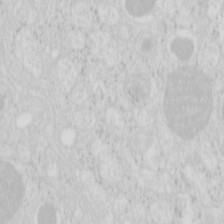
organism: Mouse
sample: Pancreas